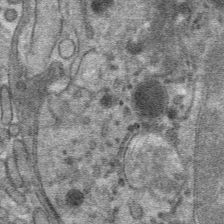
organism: Mouse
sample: Mouse hepatocytes